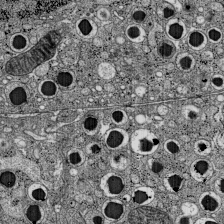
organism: C57BL Mouse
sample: Pancreatic islet